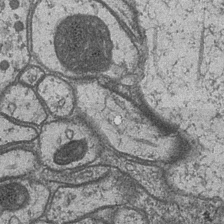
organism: Drosophila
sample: Optic medulla